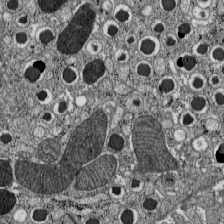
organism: C57BL Mouse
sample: Pancreatic islet